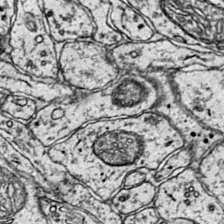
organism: Mouse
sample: Primary visual cortex